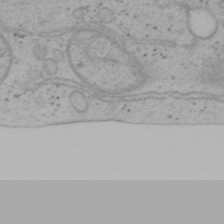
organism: Human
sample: HeLa cells